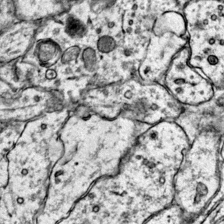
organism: Mouse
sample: Primary visual cortex